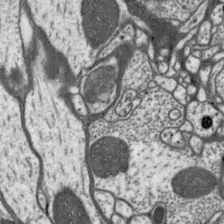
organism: Drosophila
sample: Protocerebral bridge